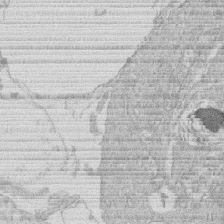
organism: Human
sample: Macrophage cells